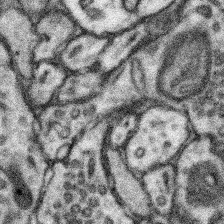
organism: Mouse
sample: Somatosensory cortex neuropil